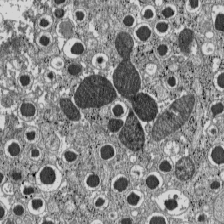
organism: C57BL Mouse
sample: Pancreatic islet